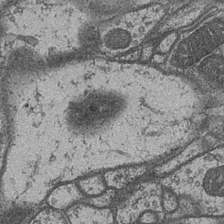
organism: Drosophila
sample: Optic medulla